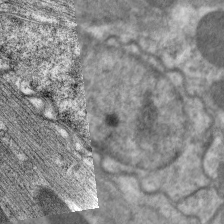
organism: C. elegans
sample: Pharynx